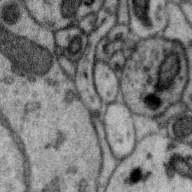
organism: Zebra finch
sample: Brain